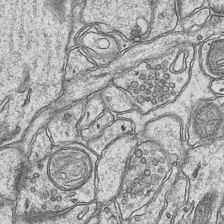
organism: Mouse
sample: CA1 Hippocampus